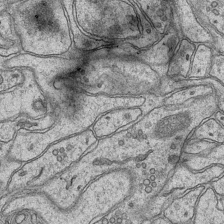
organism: Mouse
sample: CA1 Hippocampus